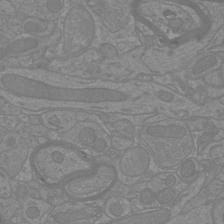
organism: Mouse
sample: Cortical neurons